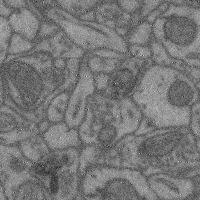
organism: Mouse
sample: Cerebral cortex